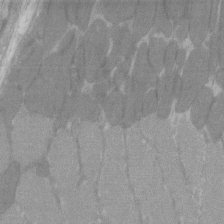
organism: C57BL Mouse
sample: Tibialis anterior muscle cell